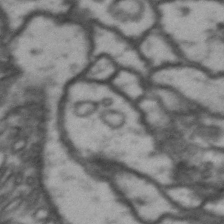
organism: Drosophila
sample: Brain